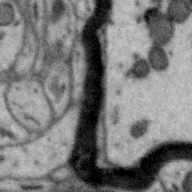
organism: Zebra finch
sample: Brain